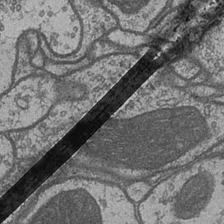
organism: Drosophila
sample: Optic medulla